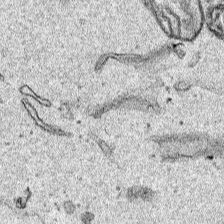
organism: Human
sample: Mitochondria in HCT116 cells